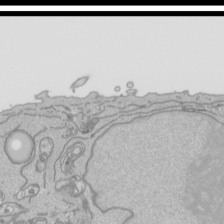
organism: Human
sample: Mitochondria in HCT116 cells